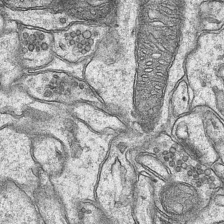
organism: Mouse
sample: CA1 Hippocampus